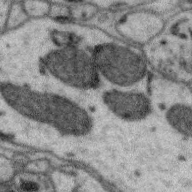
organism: Zebra finch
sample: Brain